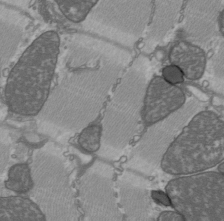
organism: C57BL Mouse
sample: Heart